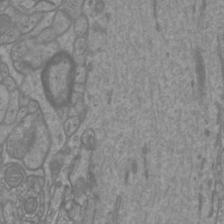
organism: Mouse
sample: Cortical neurons